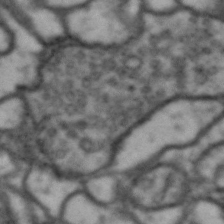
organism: Drosophila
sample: Brain